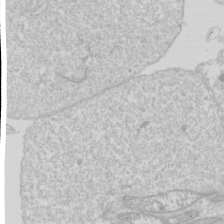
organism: Drosophila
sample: Cell division; meiosis; drosophila spermatocytes